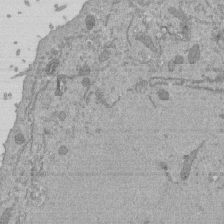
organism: Mouse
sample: ED-1 cell nuclei; centrioles